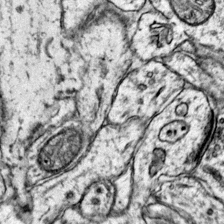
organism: Mouse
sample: Primary visual cortex